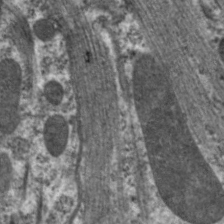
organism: C. elegans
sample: Pharynx